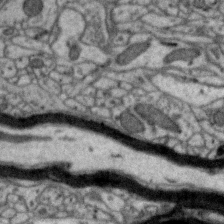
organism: Zebra finch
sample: Brain